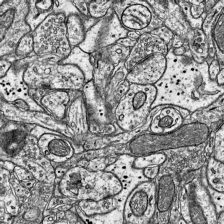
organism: Mouse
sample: Visual Cortex